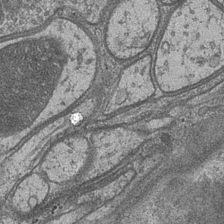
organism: Drosophila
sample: Optic medulla